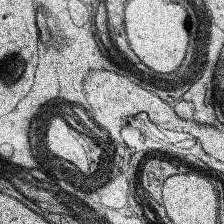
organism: Human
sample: Temporal Lobe